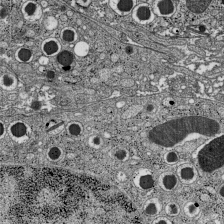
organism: C57BL Mouse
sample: Pancreatic islet